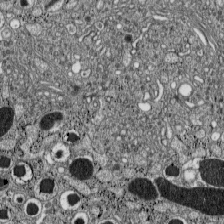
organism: C57BL Mouse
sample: Pancreatic islet